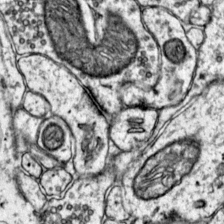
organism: Mouse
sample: Primary visual cortex